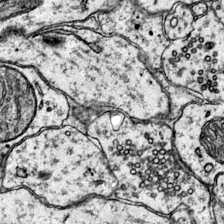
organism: Mouse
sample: Primary visual cortex